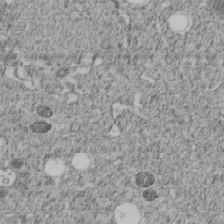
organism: C. elegans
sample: C. elegans embryo early stage